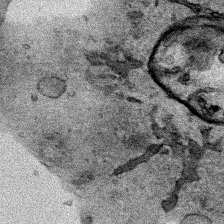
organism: Human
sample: Mitochondria in HCT116 cells